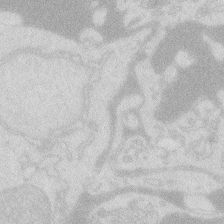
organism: Zebrafish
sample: Macrophage